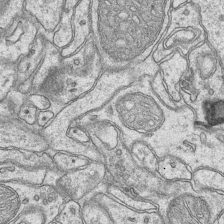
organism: Mouse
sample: CA1 Hippocampus